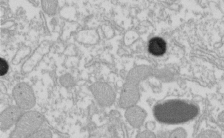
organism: Xenopus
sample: Cilia; centrioles in frog embryo cells